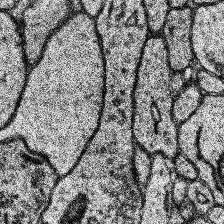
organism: Human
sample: Temporal Lobe